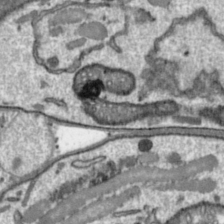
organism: Toxoplasma gondii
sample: Parasites in a vacuole inside a host cell